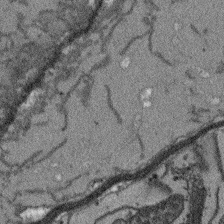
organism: Arabidopsis thaliana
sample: Root tip